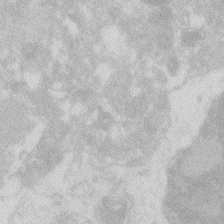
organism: Zebrafish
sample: Macrophage